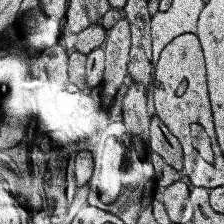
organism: Human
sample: Temporal Lobe